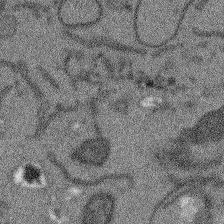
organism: Arabidopsis thaliana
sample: Root tip